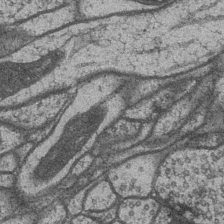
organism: Drosophila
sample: Optic medulla